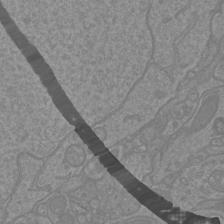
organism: Mouse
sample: Cortical neurons